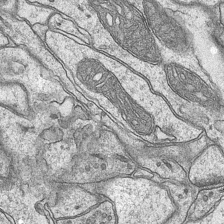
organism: Mouse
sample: CA1 Hippocampus